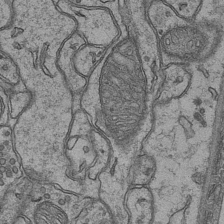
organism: Mouse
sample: CA1 Hippocampus